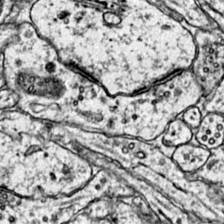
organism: Mouse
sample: Primary visual cortex